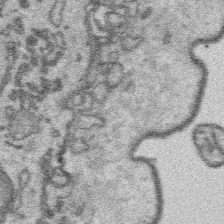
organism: Platynereis dumerilii